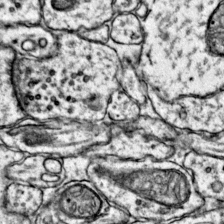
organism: Mouse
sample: Primary visual cortex